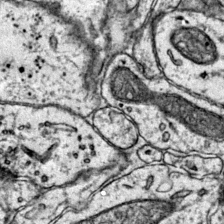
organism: Mouse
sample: Primary visual cortex